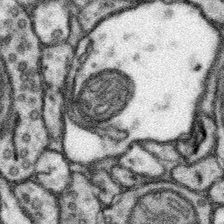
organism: Mouse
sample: Somatosensory cortex neuropil